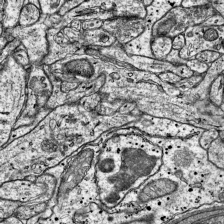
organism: Mouse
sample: Visual Cortex